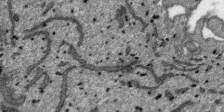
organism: Human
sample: Lung epithelial cells, uninfected (mock) control